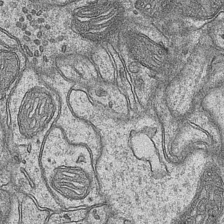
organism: Mouse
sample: CA1 Hippocampus